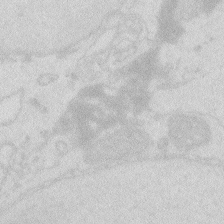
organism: Zebrafish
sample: Macrophage